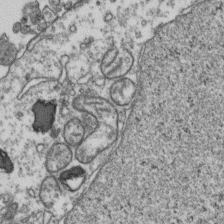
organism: Human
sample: Activated Jurkat CD4+ T cells